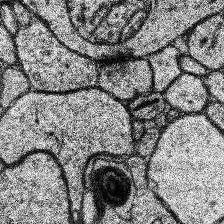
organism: Human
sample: Temporal Lobe